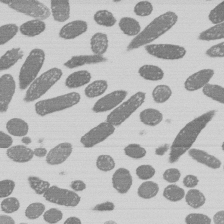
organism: E. coli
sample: Bacterial nucleoid